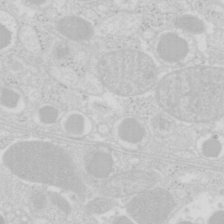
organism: Mouse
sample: Pancreas